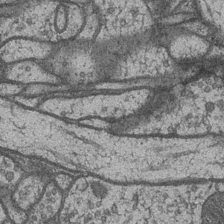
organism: Drosophila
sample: Optic medulla